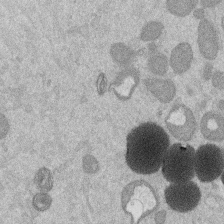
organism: Mouse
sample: Dividing mouse embryo 1 cell stage